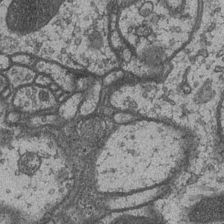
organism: Drosophila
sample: Optic medulla